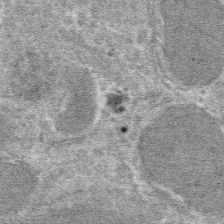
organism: Mouse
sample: Mouse hepatocytes